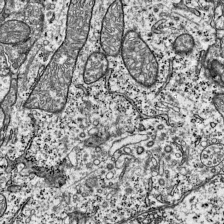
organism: Mouse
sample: Visual Cortex